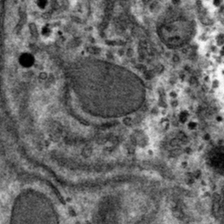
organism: Mouse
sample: Mouse hepatocytes